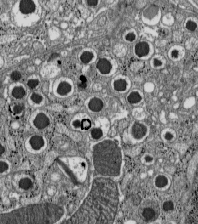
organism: C57BL Mouse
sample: Pancreatic islet